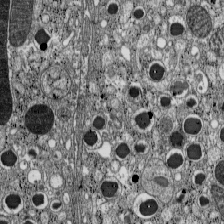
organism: C57BL Mouse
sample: Pancreatic islet